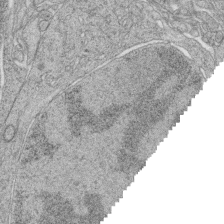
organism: Zebrafish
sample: synaptic ribbons in rod cells and cone cells